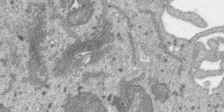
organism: Human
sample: Lung epithelial cells infected with SARS-CoV-2